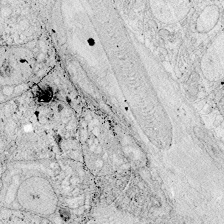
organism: Zebrafish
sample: Whole-Brain